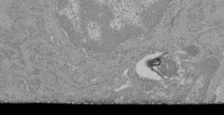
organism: Mouse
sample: Glomerulus